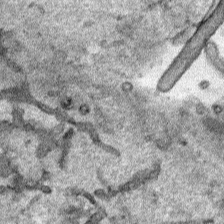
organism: Human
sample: Mitochondria in HCT116 cells